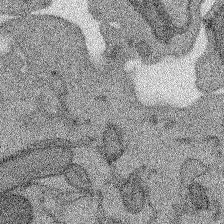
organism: Human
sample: HeLa cells